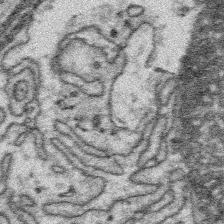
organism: Platynereis dumerilii